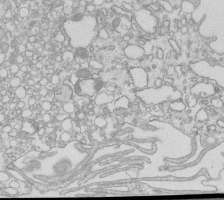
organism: Mouse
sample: Macrophages